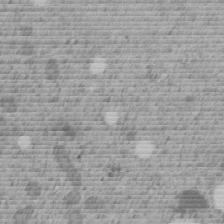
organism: C. elegans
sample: C. elegans embryo early stage